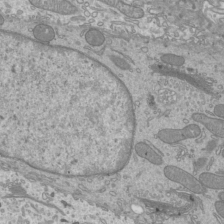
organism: Mouse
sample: Cilia; mouse epididymis